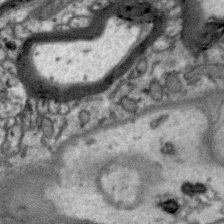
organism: Zebra finch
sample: Brain